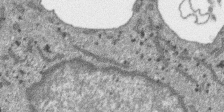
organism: Human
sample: Lung epithelial cells infected with SARS-CoV-2